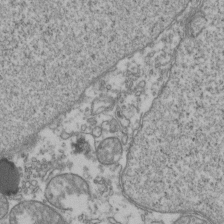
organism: Human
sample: Activated Jurkat CD4+ T cells